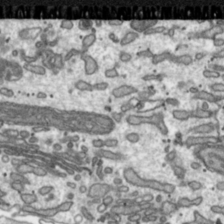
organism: Toxoplasma gondii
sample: Parasites in a vacuole inside a host cell